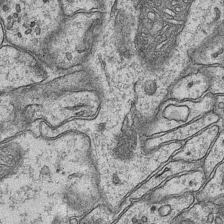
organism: Mouse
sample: CA1 Hippocampus